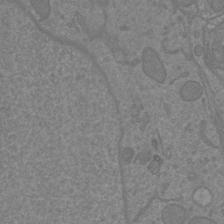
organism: Mouse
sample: Cortical neurons